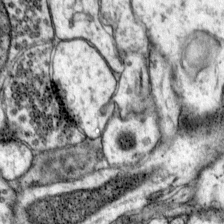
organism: Mouse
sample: Primary visual cortex